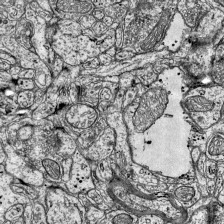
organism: Mouse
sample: Visual Cortex